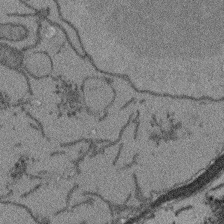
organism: Arabidopsis thaliana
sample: Root tip